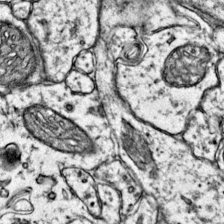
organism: Mouse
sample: Primary visual cortex